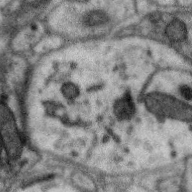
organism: Zebra finch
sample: Brain